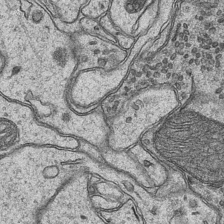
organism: Mouse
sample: CA1 Hippocampus